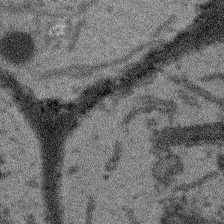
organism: Arabidopsis thaliana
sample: Root tip